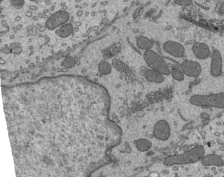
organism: Mouse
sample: Mouse epididymis efferent ductule cilia